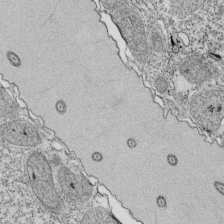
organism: Tetrahymena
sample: Cilia in tetrahymena